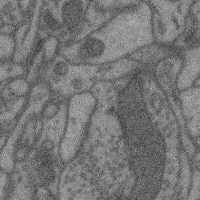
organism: Mouse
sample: Cerebral cortex